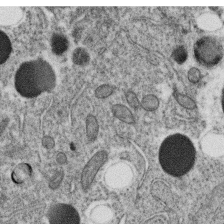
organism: C. elegans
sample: C. elegans oocyte; sperm cells